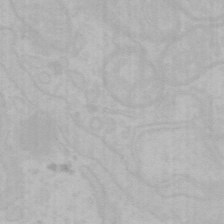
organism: Mouse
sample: Choroid plexus